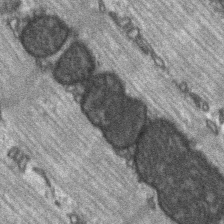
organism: C57BL Mouse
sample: Soleus